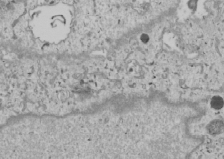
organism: Human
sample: Mitochondria in U2OS cells